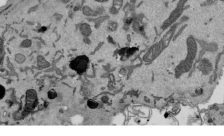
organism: Mouse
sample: ED-1 cell nuclei; centrioles